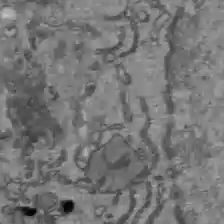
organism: C57BL Mouse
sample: Liver